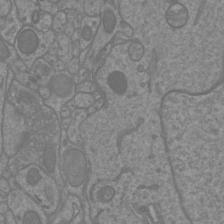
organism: Mouse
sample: Cortical neurons